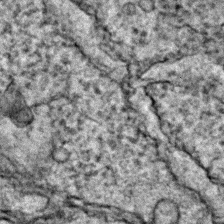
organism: Zebrafish